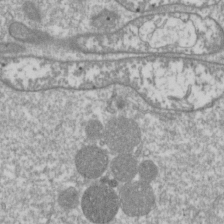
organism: Drosophila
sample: Cell division; meiosis; drosophila spermatocytes